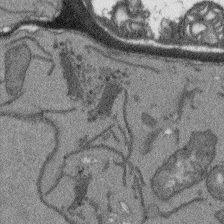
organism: Arabidopsis thaliana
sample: Root tip